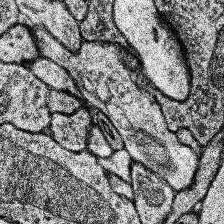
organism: Human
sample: Temporal Lobe